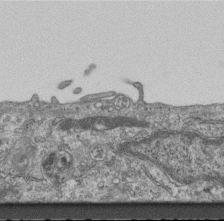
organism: Mouse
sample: Centriole in ependymal cells